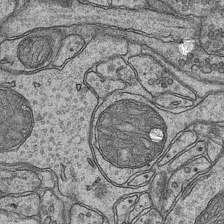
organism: Mouse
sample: CA1 Hippocampus